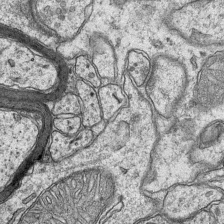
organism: Mouse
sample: CA1 Hippocampus